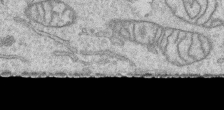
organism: Human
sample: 1205lu cells